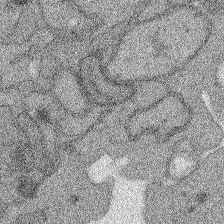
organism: Human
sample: HeLa cells